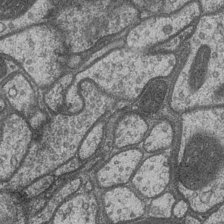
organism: Drosophila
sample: Optic medulla